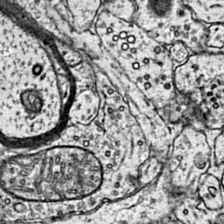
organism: Mouse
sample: Primary visual cortex